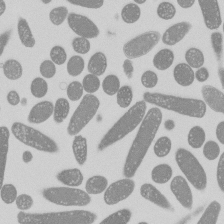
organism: E. coli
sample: Bacterial nucleoid